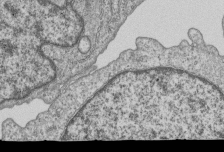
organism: Human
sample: MDA-MB-231 cells